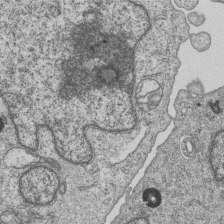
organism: Human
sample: MDA-MB-231 cells